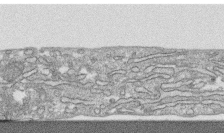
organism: Human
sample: CRL-1474